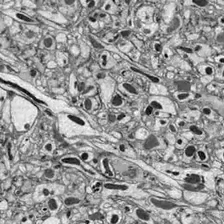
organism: Drosophila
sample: Optic lobe